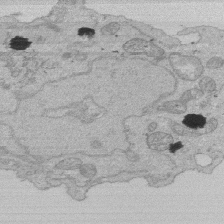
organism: Human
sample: Activated Jurkat CD4+ T cells